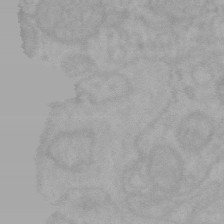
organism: Mouse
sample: Choroid plexus